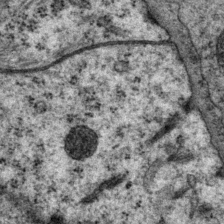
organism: P. pacificus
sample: Pharynx